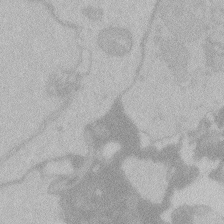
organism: Zebrafish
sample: Macrophage infected with Toxoplasma gondii